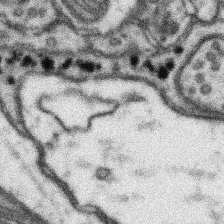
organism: Mouse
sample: Somatosensory cortex neuropil